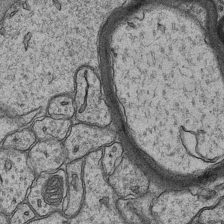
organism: Mouse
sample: CA1 Hippocampus